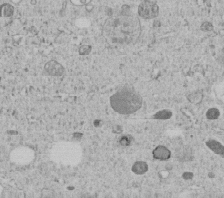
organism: C. elegans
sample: C. elegans embryo early stage